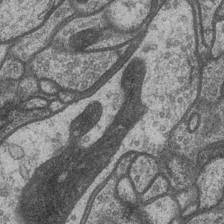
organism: Drosophila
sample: Optic medulla